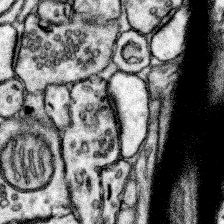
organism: Mouse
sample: Somatosensory cortex neuropil